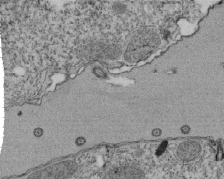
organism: Tetrahymena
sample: Cilia in tetrahymena